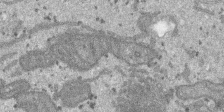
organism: Human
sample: Lung epithelial cells infected with SARS-CoV-2